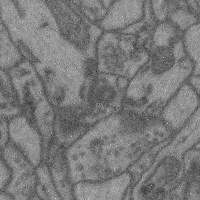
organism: Mouse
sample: Cerebral cortex